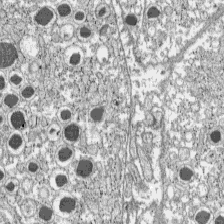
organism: C57BL Mouse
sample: Pancreatic islet